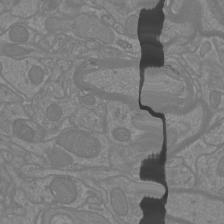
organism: Mouse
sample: Cortical neurons